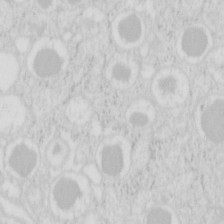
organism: Mouse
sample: Pancreas